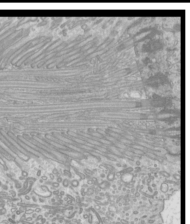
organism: Mouse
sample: Cilia; mouse epididymis